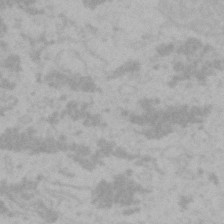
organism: Mouse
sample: Choroid plexus